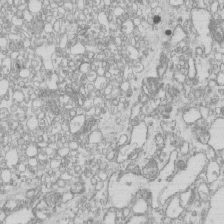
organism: Mouse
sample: Macrophages